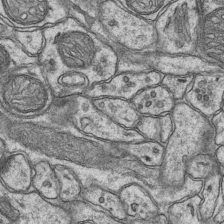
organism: Mouse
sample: CA1 Hippocampus